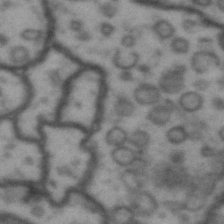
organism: Drosophila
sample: Brain